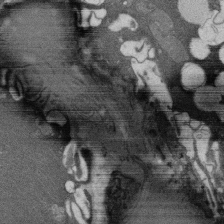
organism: Rat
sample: Salivary granule